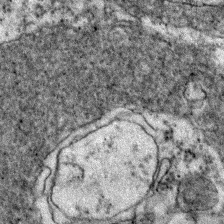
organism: Zebrafish